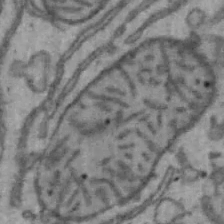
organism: Mouse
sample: Liver